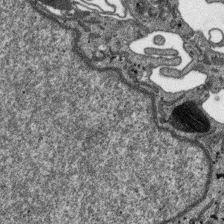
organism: Human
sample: Lung epithelial cells infected with SARS-CoV-2